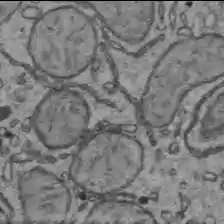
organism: C57BL Mouse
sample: Liver